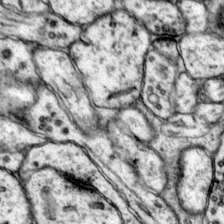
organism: Mouse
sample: Primary visual cortex